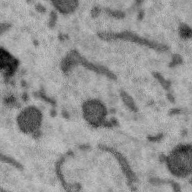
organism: Zebra finch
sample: Brain